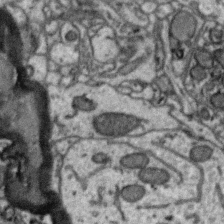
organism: Zebra finch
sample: Brain